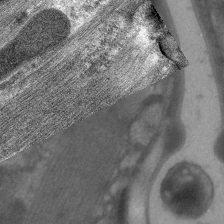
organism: C. elegans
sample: Pharynx